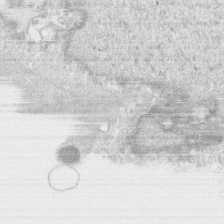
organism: Human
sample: CRL-1474